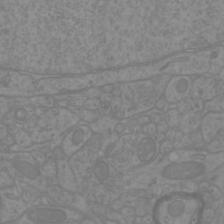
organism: Mouse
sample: Cortical neurons